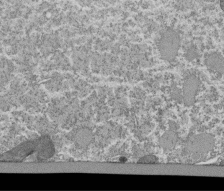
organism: Tetrahymena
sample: Cilia in tetrahymena